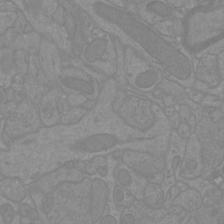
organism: Mouse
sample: Cortical neurons